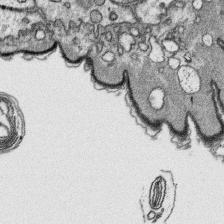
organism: Platynereis dumerilii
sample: Parapodia